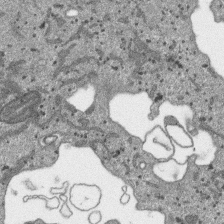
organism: Human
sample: Lung epithelial cells infected with SARS-CoV-2